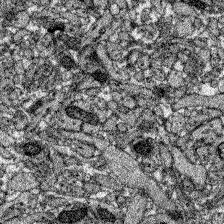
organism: Zebrafish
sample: Larval olfactory bulb